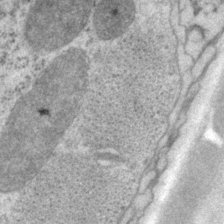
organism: P. pacificus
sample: Pharynx